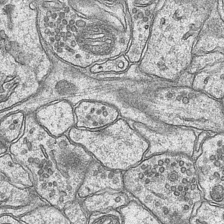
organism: Mouse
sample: CA1 Hippocampus